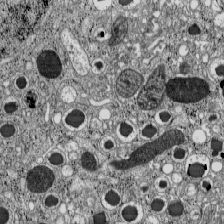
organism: C57BL Mouse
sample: Pancreatic islet